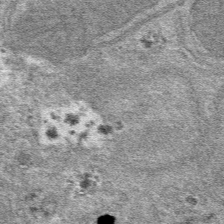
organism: Mouse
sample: Mouse hepatocytes